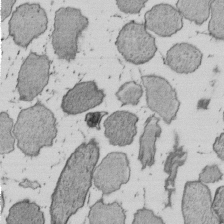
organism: E. coli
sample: Bacterial nucleoid